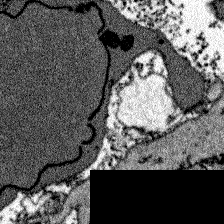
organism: Zebrafish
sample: Larval olfactory bulb